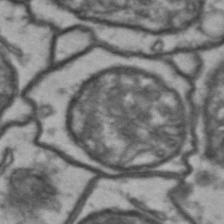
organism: Drosophila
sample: Brain